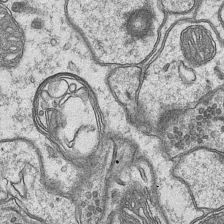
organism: Mouse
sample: CA1 Hippocampus